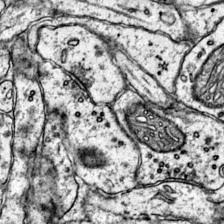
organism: Mouse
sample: Primary visual cortex